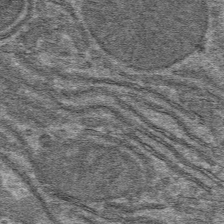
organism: Mouse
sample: Mouse hepatocytes